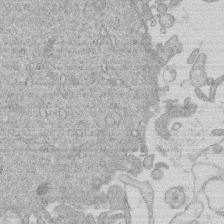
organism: Human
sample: Macrophage cells